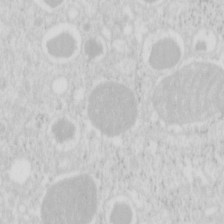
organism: Mouse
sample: Pancreas